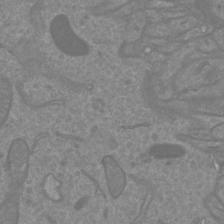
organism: Mouse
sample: Cortical neurons